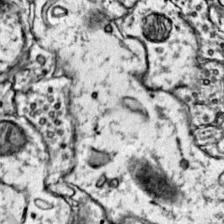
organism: Mouse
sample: Primary visual cortex